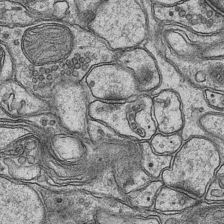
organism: Mouse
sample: CA1 Hippocampus